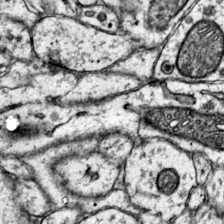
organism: Mouse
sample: Primary visual cortex